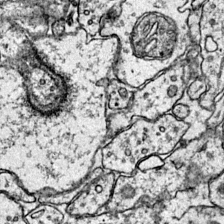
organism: Mouse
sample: Primary visual cortex